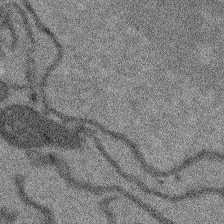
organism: Arabidopsis thaliana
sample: Root tip